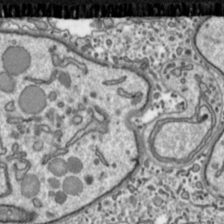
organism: Toxoplasma gondii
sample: Parasites in a vacuole inside a host cell